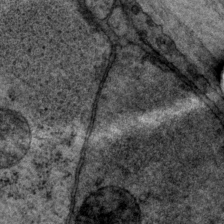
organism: P. pacificus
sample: Pharynx